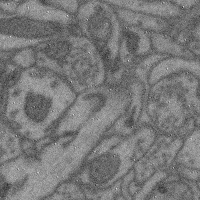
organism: Mouse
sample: Cerebral cortex